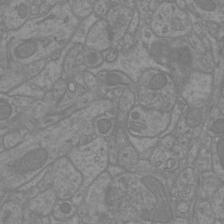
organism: Mouse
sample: Cortical neurons